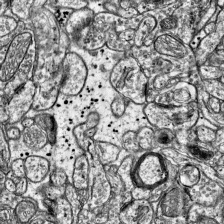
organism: Mouse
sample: Visual Cortex